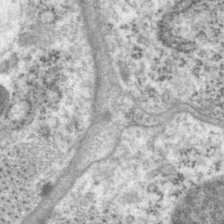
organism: P. pacificus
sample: Pharynx